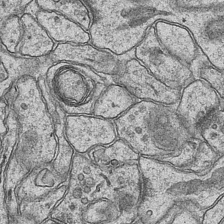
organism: Mouse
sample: CA1 Hippocampus